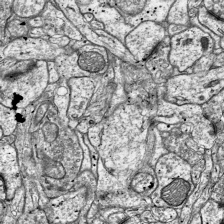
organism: Mouse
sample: Visual Cortex